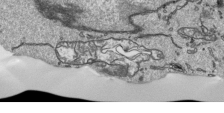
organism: Human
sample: Mitochondria in HCT116 cells